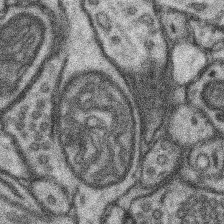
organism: Mouse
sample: Somatosensory cortex neuropil